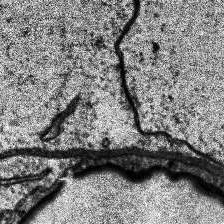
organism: Human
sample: Temporal Lobe